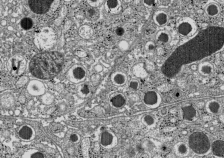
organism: C57BL Mouse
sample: Pancreatic islet